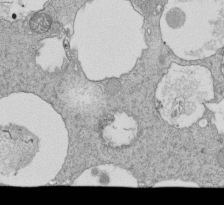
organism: Tetrahymena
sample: Cilia in tetrahymena